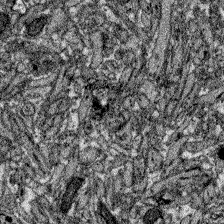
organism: Zebrafish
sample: Larval olfactory bulb